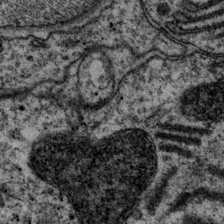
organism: P. pacificus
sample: Pharynx